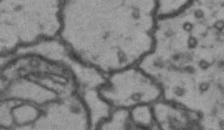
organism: Drosophila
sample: Brain